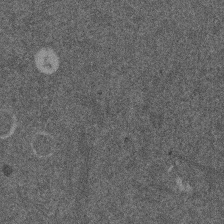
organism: Mouse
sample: Dividing mouse embryo 1 cell stage